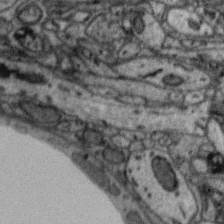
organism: Zebra finch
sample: Brain